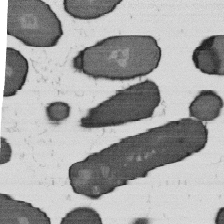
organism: B. subtilis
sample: Bacterial spore